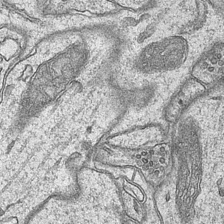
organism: Mouse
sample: CA1 Hippocampus